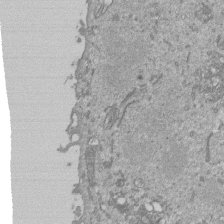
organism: Mouse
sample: ED-1 cell nuclei; centrioles